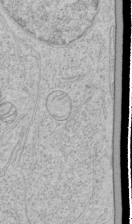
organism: Human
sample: Mitochondria in HCT116 cells